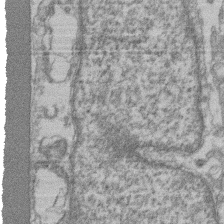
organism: Mouse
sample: T cell stromal cell synapse